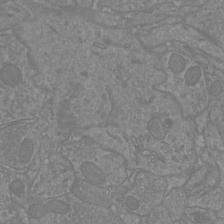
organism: Mouse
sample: Cortical neurons